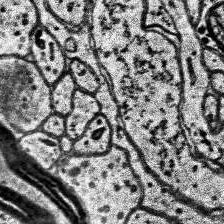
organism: Human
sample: Temporal Lobe